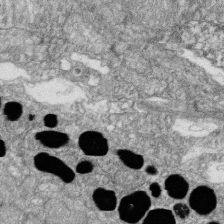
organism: Zebrafish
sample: Cilia; retinal pigment epithelium